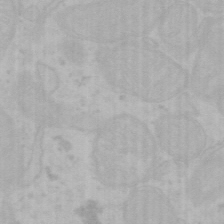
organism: Mouse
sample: Choroid plexus